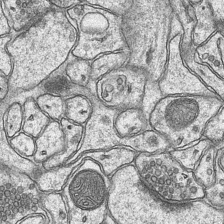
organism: Mouse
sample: CA1 Hippocampus